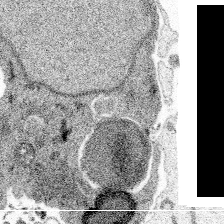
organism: Spongilla lacustris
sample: Multiple